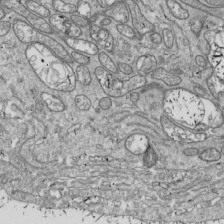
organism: Drosophila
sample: Cell division; meiosis; drosophila spermatocytes